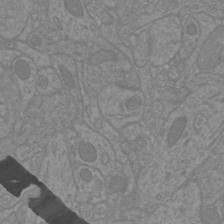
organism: Mouse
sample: Cortical neurons